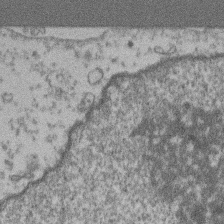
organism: Mouse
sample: T cell stromal cell synapse